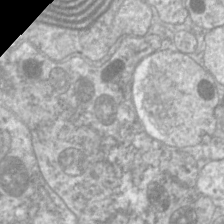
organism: C. elegans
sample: Pharynx